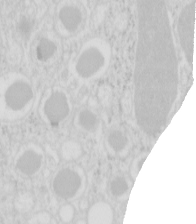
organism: Mouse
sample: Pancreas